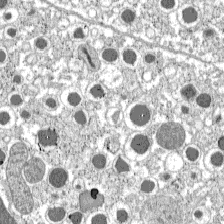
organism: C57BL Mouse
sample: Pancreatic islet